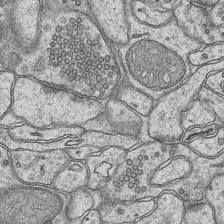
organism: Mouse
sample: CA1 Hippocampus